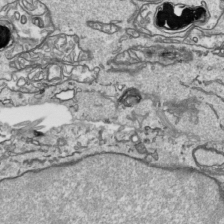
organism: Human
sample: Mitochondria in HCT116 cells